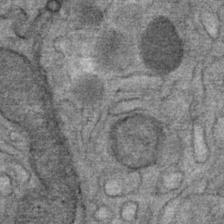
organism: Mouse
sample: Mouse Salivary gland